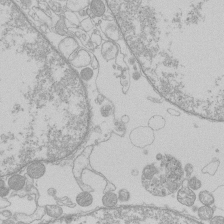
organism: Human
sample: Macrophage cells